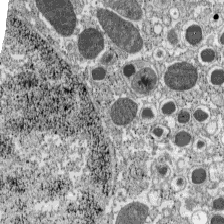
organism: C57BL Mouse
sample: Pancreatic islet